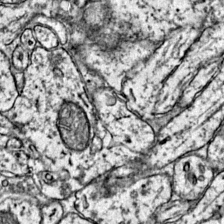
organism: Mouse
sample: Primary visual cortex